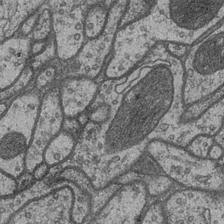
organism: Drosophila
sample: Optic medulla